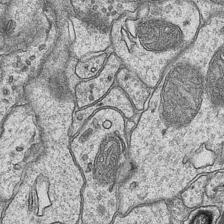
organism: Mouse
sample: CA1 Hippocampus